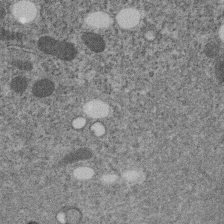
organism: C. elegans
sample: C. elegans embryo early stage